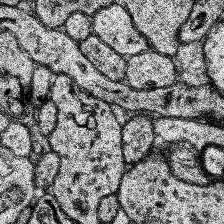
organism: Human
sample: Temporal Lobe